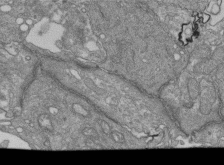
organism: Human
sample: Retinal organoid Rod and Cone cells